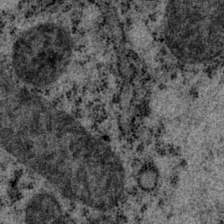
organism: P. pacificus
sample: Pharynx